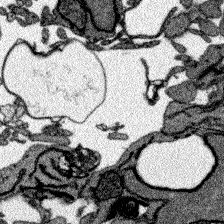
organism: Zebrafish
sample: Larval olfactory bulb